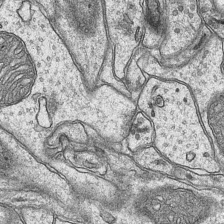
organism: Mouse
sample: CA1 Hippocampus